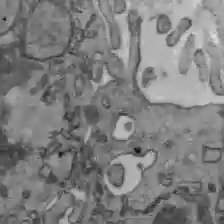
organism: C57BL Mouse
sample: Liver